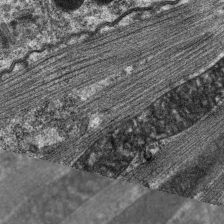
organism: C. elegans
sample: Pharynx